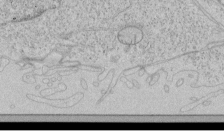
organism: Human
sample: Mitochondria in HCT116 cells